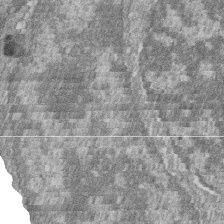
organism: Zebrafish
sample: Cilia; retinal pigment epithelium